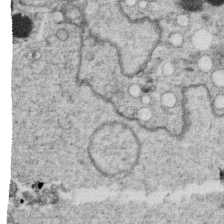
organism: C. elegans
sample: C. elegans oocyte; sperm cells